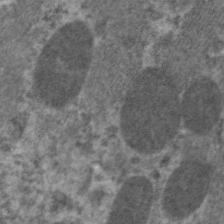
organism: C. elegans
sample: Pharynx